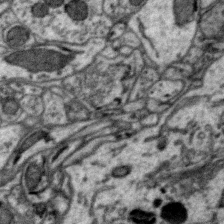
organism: Zebra finch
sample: Brain